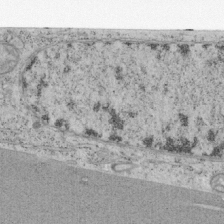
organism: Human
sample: HeLa cells